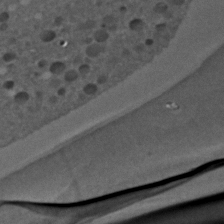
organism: C. elegans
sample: C. elegans embryo